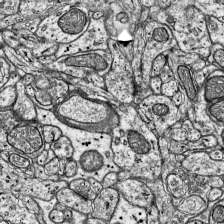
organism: Mouse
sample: Visual Cortex